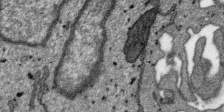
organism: Human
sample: Lung epithelial cells, uninfected (mock) control